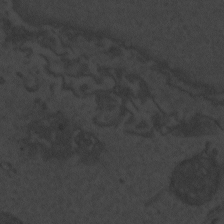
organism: Zebrafish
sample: Macrophage infected with Toxoplasma gondii